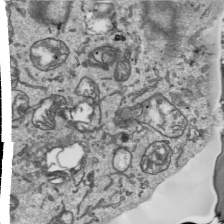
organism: Human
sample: Mitochondria in HCT116 cells